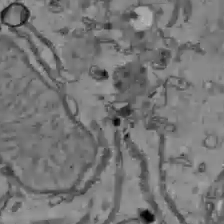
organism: C57BL Mouse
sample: Liver